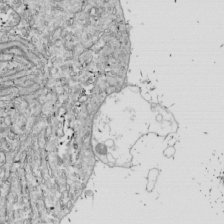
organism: Drosophila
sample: Cell division; meiosis; drosophila spermatocytes